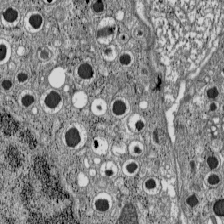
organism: C57BL Mouse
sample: Pancreatic islet